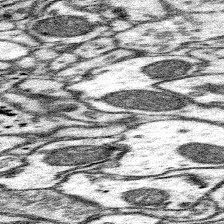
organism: Mouse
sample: Somatosensory cortex neuropil